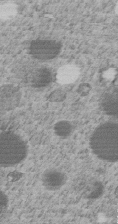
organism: C. elegans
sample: C. elegans embryo early stage